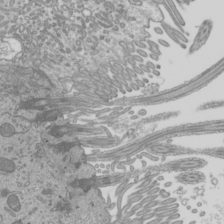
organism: Mouse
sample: Cilia; mouse epididymis